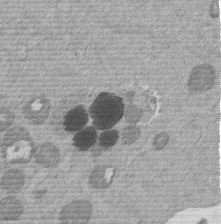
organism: Mouse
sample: Dividing mouse embryo 1 cell stage